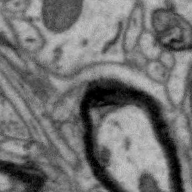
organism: Zebra finch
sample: Brain